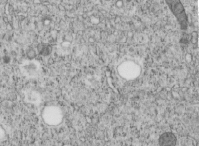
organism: C. elegans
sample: C. elegans embryo early stage